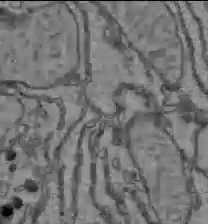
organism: C57BL Mouse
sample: Liver